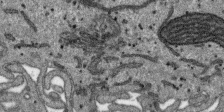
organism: Human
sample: Lung epithelial cells, uninfected (mock) control